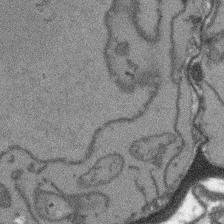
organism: Arabidopsis thaliana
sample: Root tip